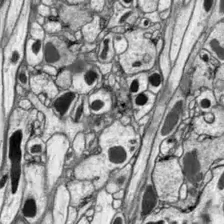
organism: Drosophila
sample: Optic lobe